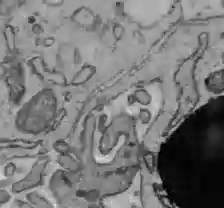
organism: C57BL Mouse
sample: Liver